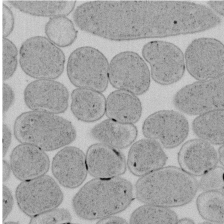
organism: E. coli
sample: Bacterial nucleoid